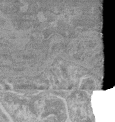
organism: Mouse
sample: Glomerulus